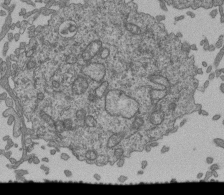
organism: Human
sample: Retinal organoid Rod and Cone cells